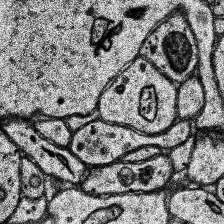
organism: Human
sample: Temporal Lobe